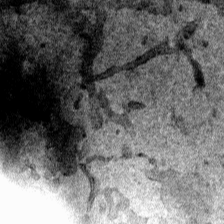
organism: Human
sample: Mitochondria in HCT116 cells